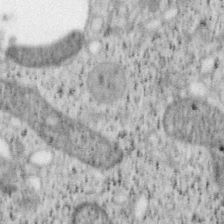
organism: Mouse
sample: OT-I killer T cells with ID8 ovarian cancer cells